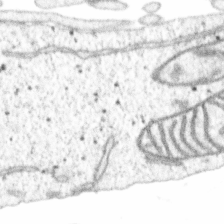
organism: Human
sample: HeLa cells